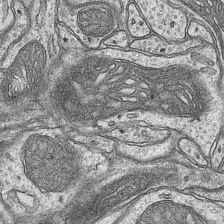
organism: Mouse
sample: CA1 Hippocampus